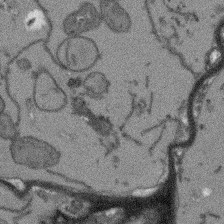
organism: Arabidopsis thaliana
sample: Root tip